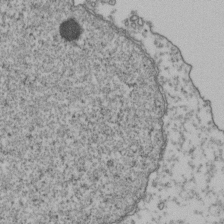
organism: Human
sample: Activated Jurkat CD4+ T cells